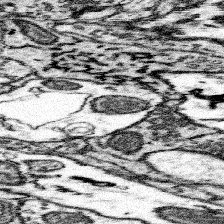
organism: Mouse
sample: Somatosensory cortex neuropil